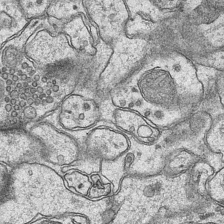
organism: Mouse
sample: CA1 Hippocampus